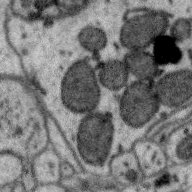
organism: Zebra finch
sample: Brain